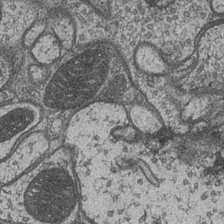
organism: Drosophila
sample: Optic medulla